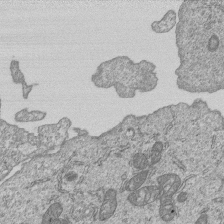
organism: Human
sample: MDA-MB-231 cells